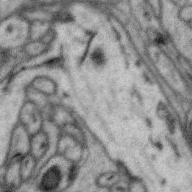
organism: Zebra finch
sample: Brain